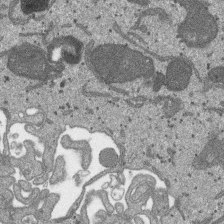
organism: Human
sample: Lung epithelial cells infected with SARS-CoV-2